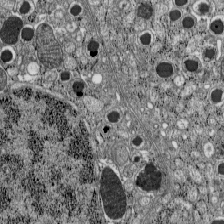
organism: C57BL Mouse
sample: Pancreatic islet